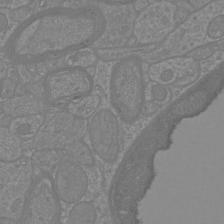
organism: Mouse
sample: Cortical neurons